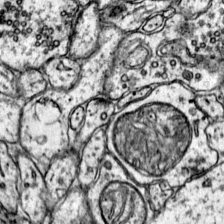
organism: Mouse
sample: Primary visual cortex